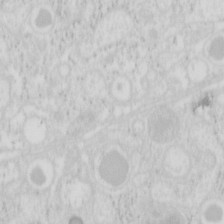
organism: Mouse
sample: Pancreas